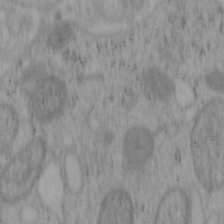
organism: Mouse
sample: OT-I killer T cells with ID8 ovarian cancer cells